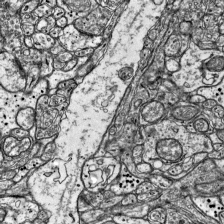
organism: Mouse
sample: Visual Cortex